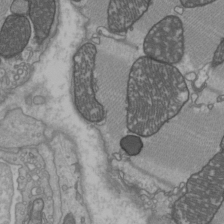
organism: C57BL Mouse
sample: Heart